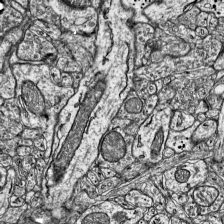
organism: Mouse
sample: Visual Cortex